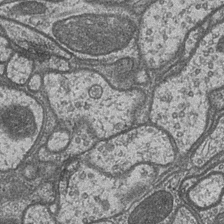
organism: Drosophila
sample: Optic medulla